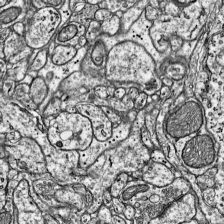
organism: Mouse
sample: Visual Cortex